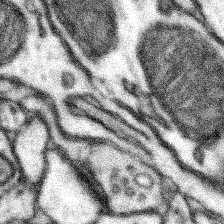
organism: Mouse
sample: Somatosensory cortex neuropil